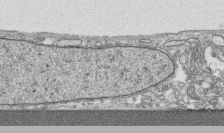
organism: Human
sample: CRL-1474